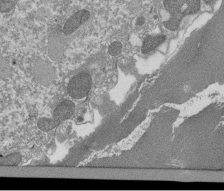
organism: Tetrahymena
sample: Cilia in tetrahymena